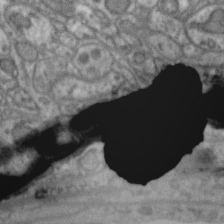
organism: Zebra finch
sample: Brain